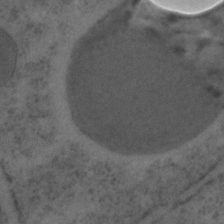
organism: C. elegans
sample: C. elegans embryo